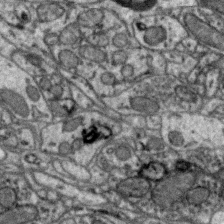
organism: Zebra finch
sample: Brain